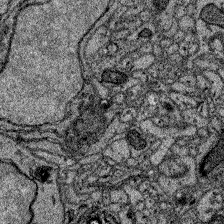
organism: Zebrafish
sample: Larval olfactory bulb